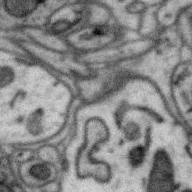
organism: Zebra finch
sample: Brain